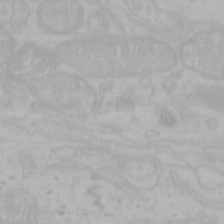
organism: Mouse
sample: Choroid plexus